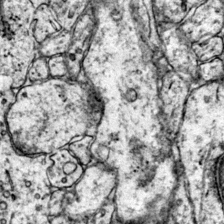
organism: Mouse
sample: Primary visual cortex